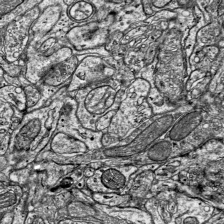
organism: Mouse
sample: Visual Cortex